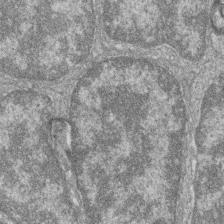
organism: Zebrafish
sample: Cilia; retinal pigment epithelium